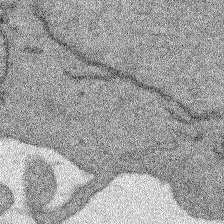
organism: Human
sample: HeLa cells